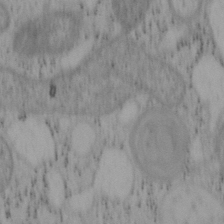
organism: Mouse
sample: OT-I killer T cells with ID8 ovarian cancer cells